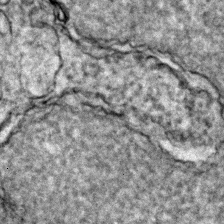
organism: Zebrafish